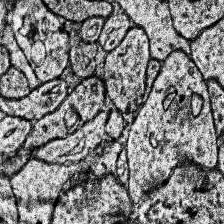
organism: Human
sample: Temporal Lobe